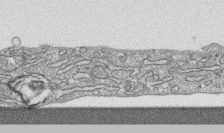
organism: Human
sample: CRL-1474